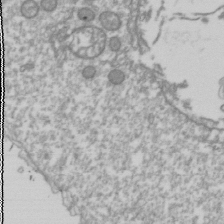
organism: Drosophila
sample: Cell division; meiosis; drosophila spermatocytes